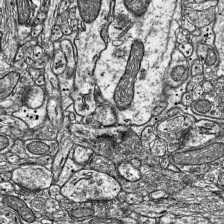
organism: Mouse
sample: Visual Cortex